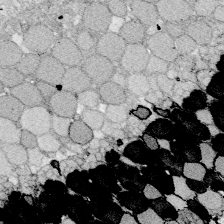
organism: Zebrafish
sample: Whole-Brain